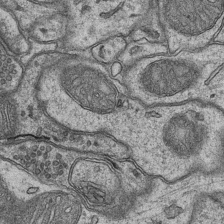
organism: Mouse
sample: CA1 Hippocampus